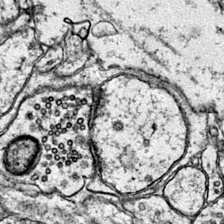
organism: Mouse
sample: Primary visual cortex